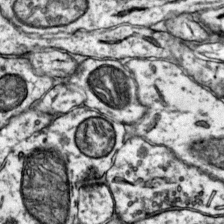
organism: Mouse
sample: Primary visual cortex